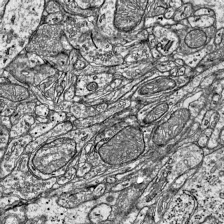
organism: Mouse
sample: Visual Cortex